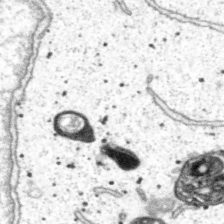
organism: Human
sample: HeLa cells